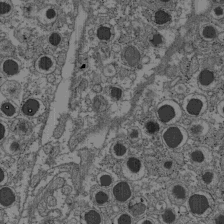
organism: C57BL Mouse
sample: Pancreatic islet